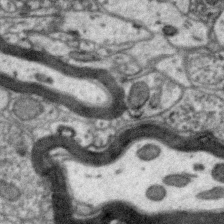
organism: Zebra finch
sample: Brain